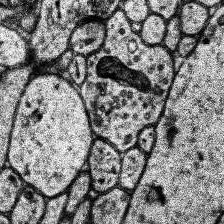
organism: Human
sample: Temporal Lobe